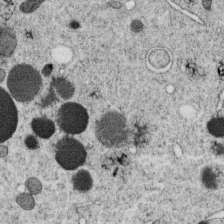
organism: C. elegans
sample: C. elegans oocyte; sperm cells